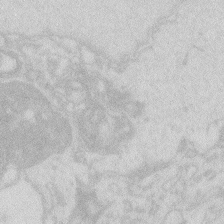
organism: Zebrafish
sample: Macrophage